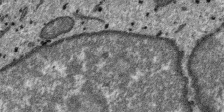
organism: Human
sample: Lung epithelial cells, uninfected (mock) control